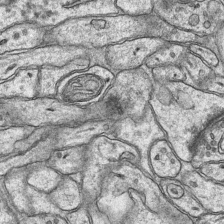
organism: Mouse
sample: CA1 Hippocampus